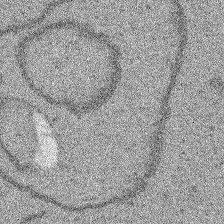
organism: Human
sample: HeLa cells